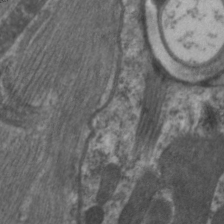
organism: C. elegans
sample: Pharynx